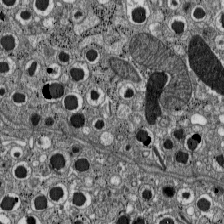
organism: C57BL Mouse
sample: Pancreatic islet